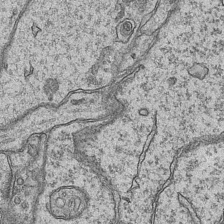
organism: Mouse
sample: CA1 Hippocampus